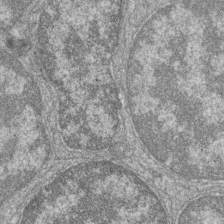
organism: Zebrafish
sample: Cilia; retinal pigment epithelium